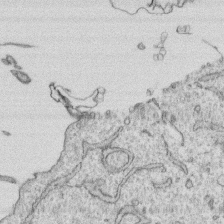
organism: Human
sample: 1205lu cells